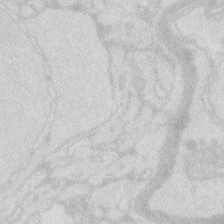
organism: Zebrafish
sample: Macrophage